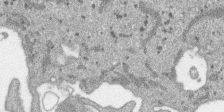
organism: Human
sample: Lung epithelial cells infected with SARS-CoV-2